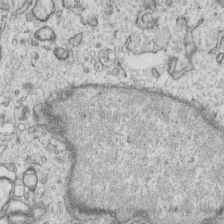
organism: Human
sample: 1205lu cells